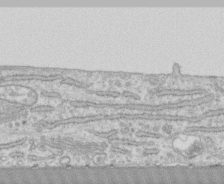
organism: Human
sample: CRL-1474